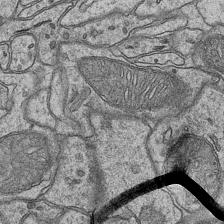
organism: Mouse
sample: CA1 Hippocampus